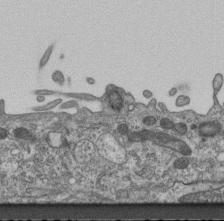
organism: Mouse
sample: Centriole in ependymal cells